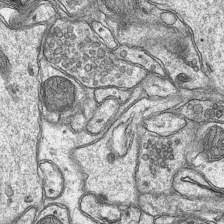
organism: Mouse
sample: CA1 Hippocampus